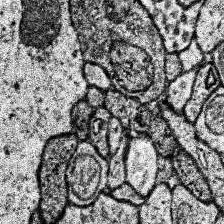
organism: Human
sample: Temporal Lobe